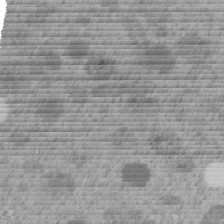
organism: C. elegans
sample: C. elegans embryo early stage